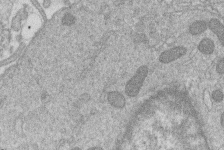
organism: Human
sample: Macrophage cells